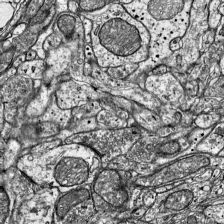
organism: Mouse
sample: Visual Cortex